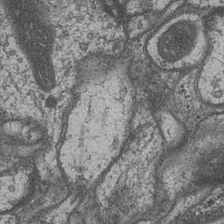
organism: Drosophila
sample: Optic medulla